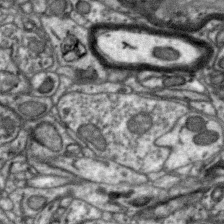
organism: Zebra finch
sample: Brain